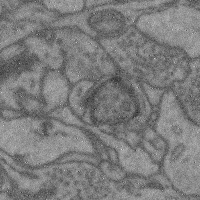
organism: Mouse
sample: Cerebral cortex